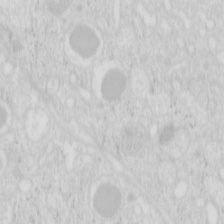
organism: Mouse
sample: Pancreas